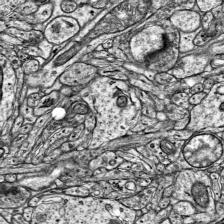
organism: Mouse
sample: Visual Cortex